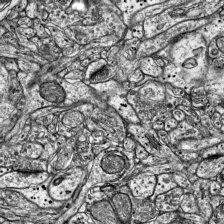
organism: Mouse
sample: Visual Cortex